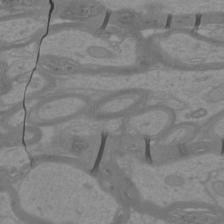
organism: Mouse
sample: Cortical neurons